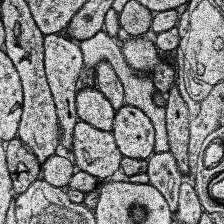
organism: Human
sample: Temporal Lobe